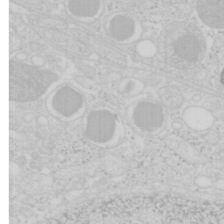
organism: Mouse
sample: Pancreas